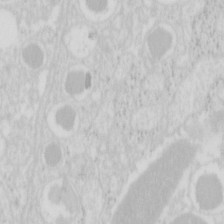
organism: Mouse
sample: Pancreas